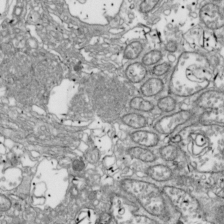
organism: Drosophila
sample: Cell division; meiosis; drosophila spermatocytes